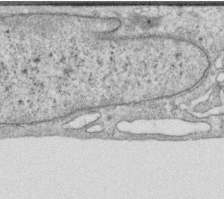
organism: Human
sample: Centriole in RPE cells